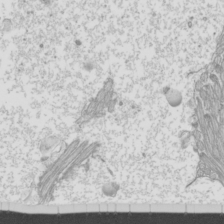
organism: Mouse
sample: Cilia; mouse epididymis